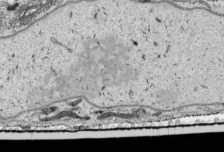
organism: Human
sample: Mitochondria in HCT116 cells